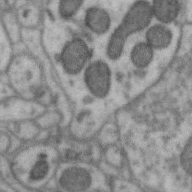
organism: Zebra finch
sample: Brain